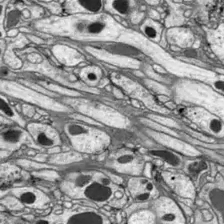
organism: Drosophila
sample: Optic lobe